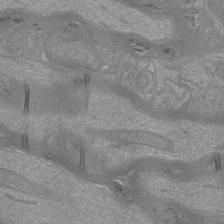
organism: Mouse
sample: Cortical neurons